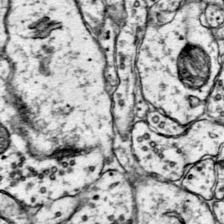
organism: Mouse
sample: Primary visual cortex